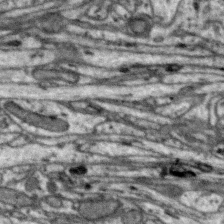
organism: Zebra finch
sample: Brain